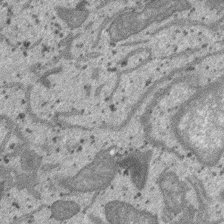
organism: Human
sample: Lung epithelial cells infected with SARS-CoV-2